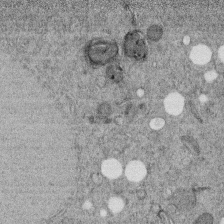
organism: C. elegans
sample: C. elegans embryo early stage